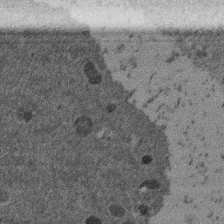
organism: Mouse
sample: Dividing mouse embryo 1 cell stage